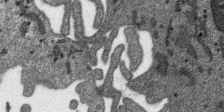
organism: Human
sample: Lung epithelial cells infected with SARS-CoV-2